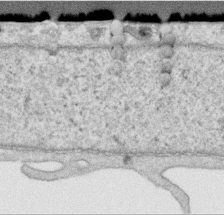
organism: Human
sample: Centriole in RPE cells